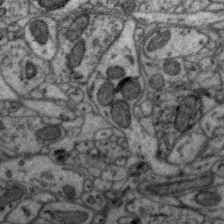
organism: Zebra finch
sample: Brain